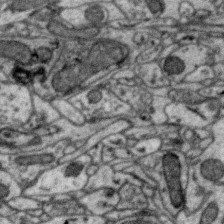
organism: Zebra finch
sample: Brain